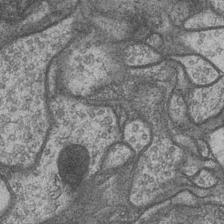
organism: Drosophila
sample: Optic medulla